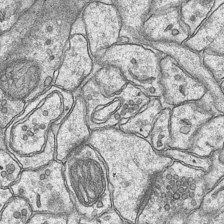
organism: Mouse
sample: CA1 Hippocampus